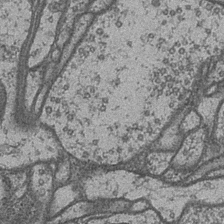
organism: Drosophila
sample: Optic medulla